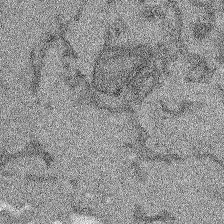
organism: Human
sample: HeLa cells